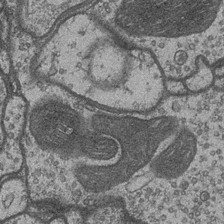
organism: Drosophila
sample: Optic medulla